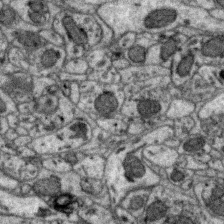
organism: Zebra finch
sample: Brain